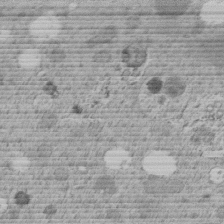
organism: C. elegans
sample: C. elegans embryo early stage